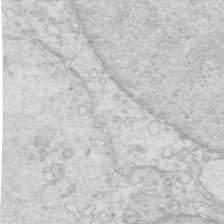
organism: Mouse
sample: Multiciliated cells